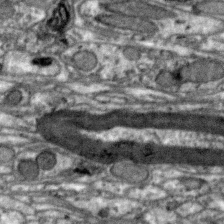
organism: Zebra finch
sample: Brain